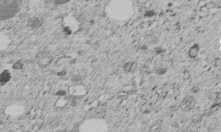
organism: C. elegans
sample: C. elegans embryo early stage